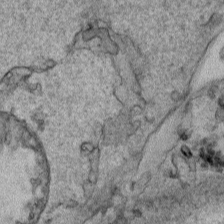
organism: Human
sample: Mitochondria in HCT116 cells